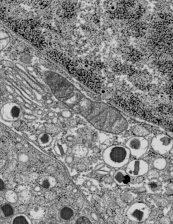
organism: C57BL Mouse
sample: Pancreatic islet